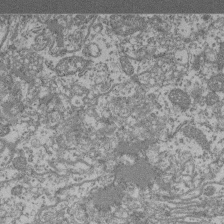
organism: Mouse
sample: Glomerulus